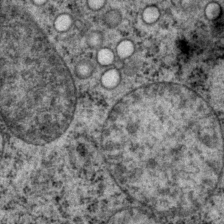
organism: P. pacificus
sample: Pharynx